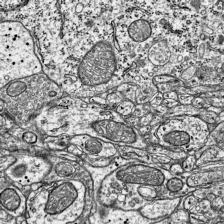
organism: Mouse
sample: Visual Cortex